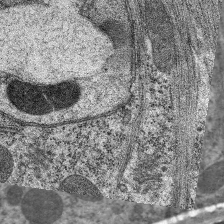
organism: C. elegans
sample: Pharynx